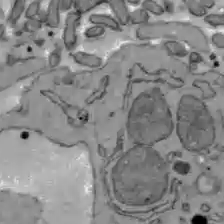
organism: C57BL Mouse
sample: Liver